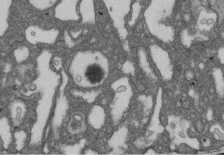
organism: Drosophila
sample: Nephrocyte